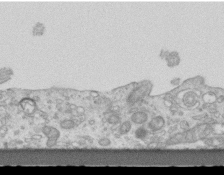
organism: Mouse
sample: Centriole in ependymal cells